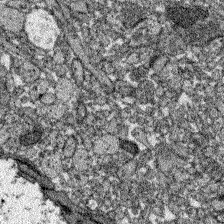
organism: Zebrafish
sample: Larval olfactory bulb